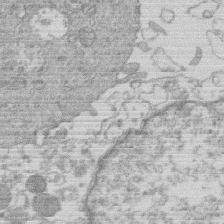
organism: Human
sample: Macrophage cells